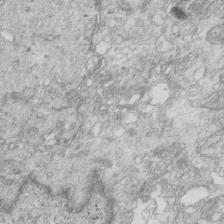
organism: Mouse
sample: Multiciliated cells